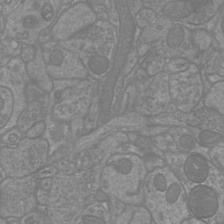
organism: Mouse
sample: Cortical neurons